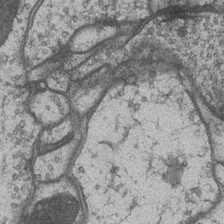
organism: Drosophila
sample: Optic medulla